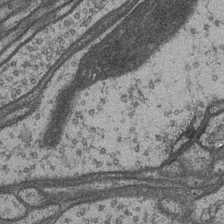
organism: Drosophila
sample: Optic medulla